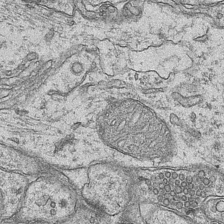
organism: Mouse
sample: CA1 Hippocampus